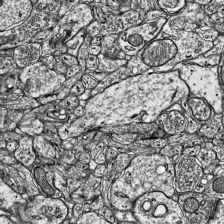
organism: Mouse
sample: Visual Cortex